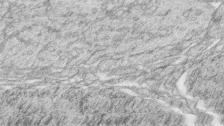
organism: Zebrafish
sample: synaptic ribbons in rod cells and cone cells